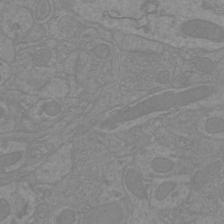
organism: Mouse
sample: Cortical neurons